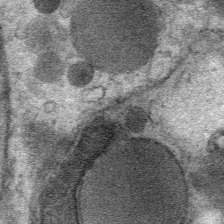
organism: Mouse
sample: Mouse Salivary gland